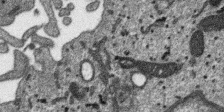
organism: Human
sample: Lung epithelial cells infected with SARS-CoV-2